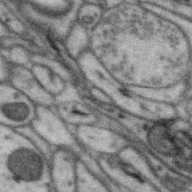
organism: Zebra finch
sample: Brain